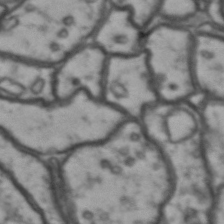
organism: Drosophila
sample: Brain